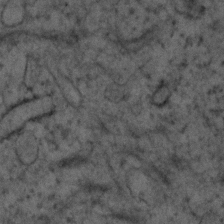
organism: Human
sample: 1205lu cells